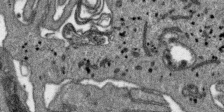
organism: Human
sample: Lung epithelial cells, uninfected (mock) control